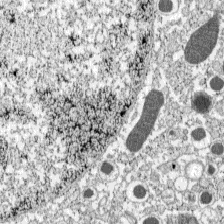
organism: C57BL Mouse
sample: Pancreatic islet